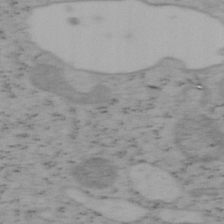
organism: Mouse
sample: OT-I killer T cells with ID8 ovarian cancer cells